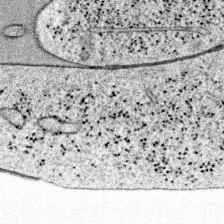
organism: Human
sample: HeLa cells